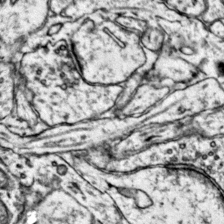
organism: Mouse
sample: Primary visual cortex